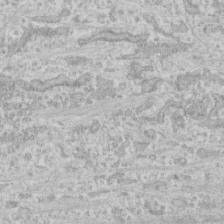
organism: Human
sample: CRL-1474